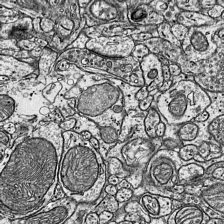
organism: Mouse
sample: Visual Cortex